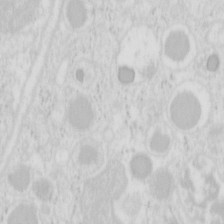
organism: Mouse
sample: Pancreas